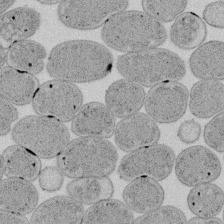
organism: E. coli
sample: Bacterial nucleoid